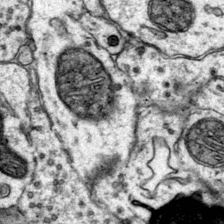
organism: Mouse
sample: Primary visual cortex